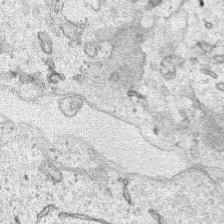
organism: Human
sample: Mitochondria in HCT116 cells